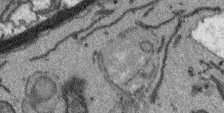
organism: Arabidopsis thaliana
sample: Root tip